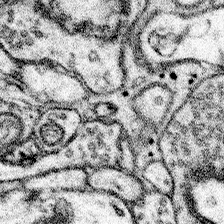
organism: Mouse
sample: Somatosensory cortex neuropil